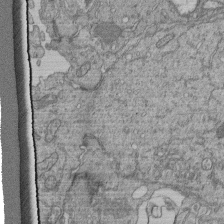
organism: Human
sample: Retinal organoid Rod and Cone cells